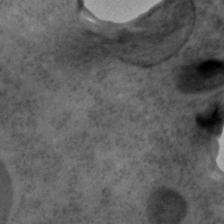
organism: C. elegans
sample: C. elegans embryo